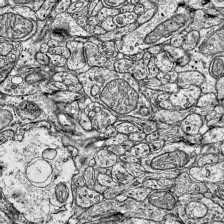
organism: Mouse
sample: Visual Cortex